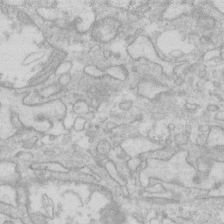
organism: Human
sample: Fibroblast cells